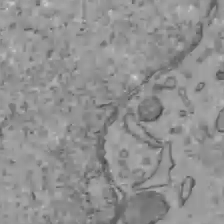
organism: C57BL Mouse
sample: Liver